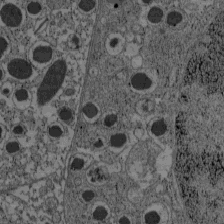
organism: C57BL Mouse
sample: Pancreatic islet